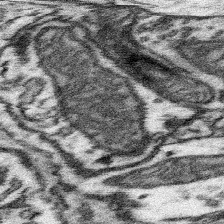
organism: Mouse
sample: Somatosensory cortex neuropil